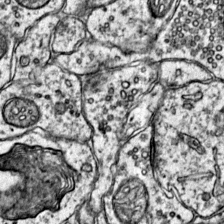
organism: Mouse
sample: Primary visual cortex